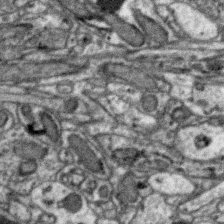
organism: Zebra finch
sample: Brain